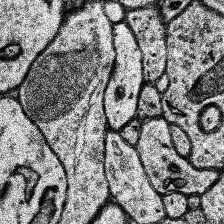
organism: Human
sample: Temporal Lobe